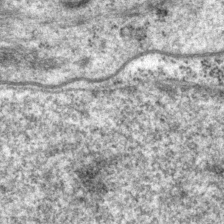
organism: P. pacificus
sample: Pharynx